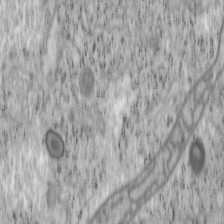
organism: Human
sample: HeLa cells